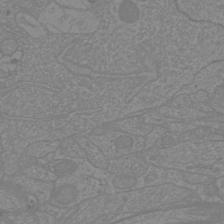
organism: Mouse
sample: Cortical neurons